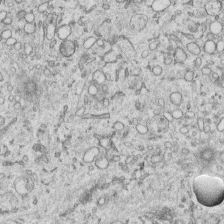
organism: Human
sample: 1205lu cells